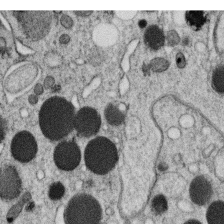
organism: C. elegans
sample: C. elegans oocyte; sperm cells